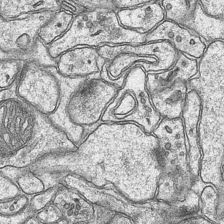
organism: Mouse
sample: CA1 Hippocampus